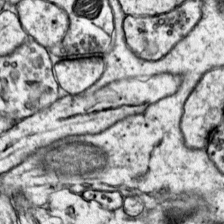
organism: Mouse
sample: Primary visual cortex